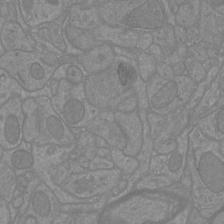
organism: Mouse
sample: Cortical neurons